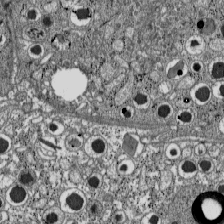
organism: C57BL Mouse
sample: Pancreatic islet